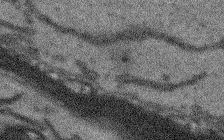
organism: Arabidopsis thaliana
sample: Root tip